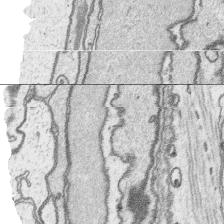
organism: Platynereis dumerilii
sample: Parapodia